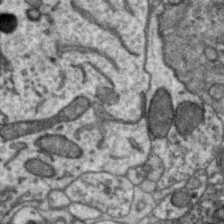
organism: Zebra finch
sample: Brain